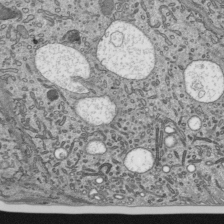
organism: Mouse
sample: Mouse epididymis efferent ductule cilia